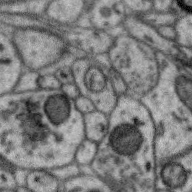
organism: Zebra finch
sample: Brain